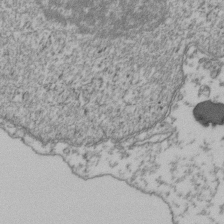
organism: Human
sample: Activated Jurkat CD4+ T cells